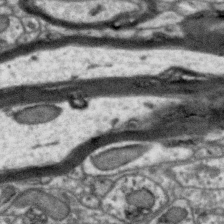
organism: Zebra finch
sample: Brain